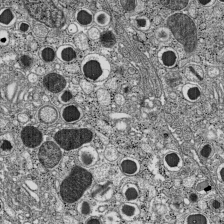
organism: C57BL Mouse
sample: Pancreatic islet